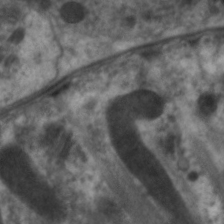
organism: C. elegans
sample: Pharynx